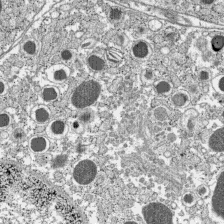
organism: C57BL Mouse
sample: Pancreatic islet